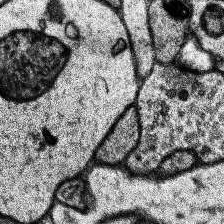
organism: Human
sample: Temporal Lobe